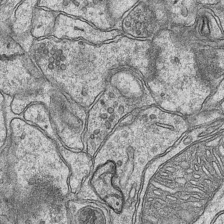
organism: Mouse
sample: CA1 Hippocampus